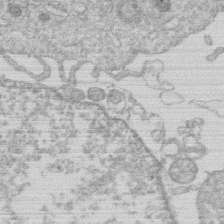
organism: Human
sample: Macrophage cells